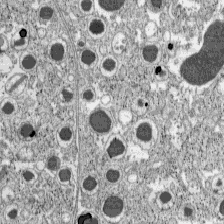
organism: C57BL Mouse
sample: Pancreatic islet